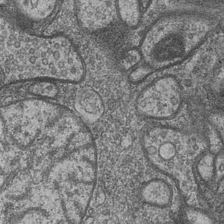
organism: Drosophila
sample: Optic medulla